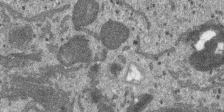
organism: Human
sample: Lung epithelial cells infected with SARS-CoV-2